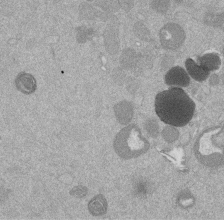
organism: Mouse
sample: Dividing mouse embryo 1 cell stage